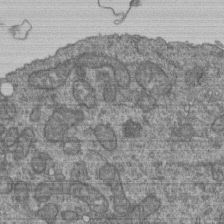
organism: Human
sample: Retinal organoid Rod and Cone cells